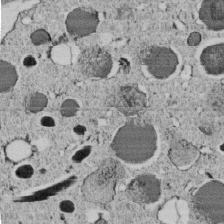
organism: C. elegans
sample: C. elegans embryo early stage